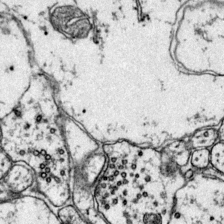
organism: Mouse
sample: Primary visual cortex